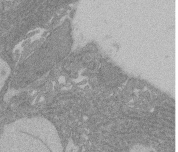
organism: Rat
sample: Salivary granule